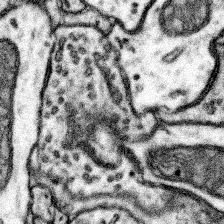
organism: Mouse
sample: Somatosensory cortex neuropil